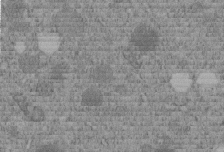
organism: C. elegans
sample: C. elegans embryo early stage